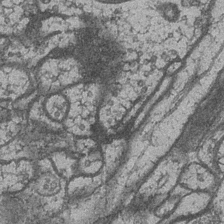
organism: Drosophila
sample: Optic medulla